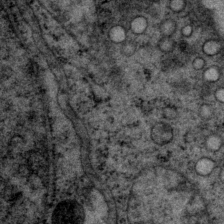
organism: P. pacificus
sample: Pharynx